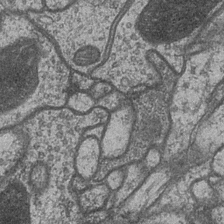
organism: Drosophila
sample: Optic medulla